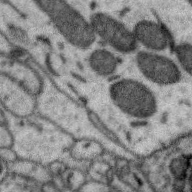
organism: Zebra finch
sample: Brain